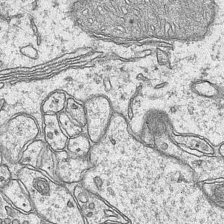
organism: Mouse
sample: CA1 Hippocampus